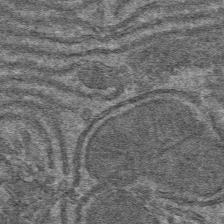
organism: Mouse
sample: Mouse hepatocytes